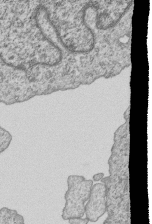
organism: Human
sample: MDA-MB-231 cells